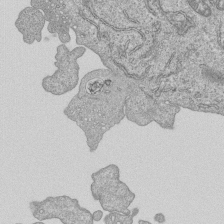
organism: Human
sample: MDA-MB-231 cells